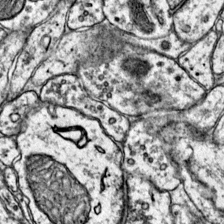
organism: Mouse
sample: Primary visual cortex